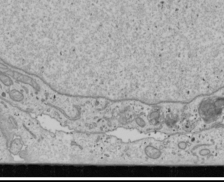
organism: Human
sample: Mitochondria in U2OS cells